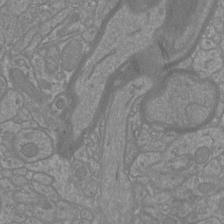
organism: Mouse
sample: Cortical neurons